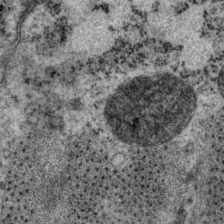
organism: P. pacificus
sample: Pharynx